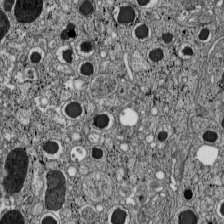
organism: C57BL Mouse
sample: Pancreatic islet